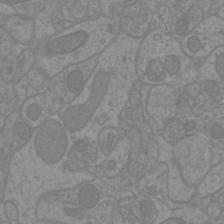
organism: Mouse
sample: Cortical neurons